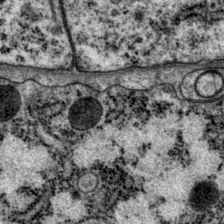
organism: P. pacificus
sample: Pharynx